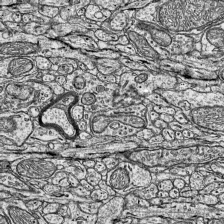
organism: Mouse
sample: Visual Cortex